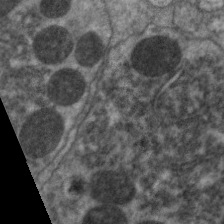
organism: C. elegans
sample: Pharynx